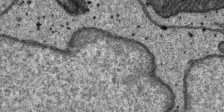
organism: Human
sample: Lung epithelial cells, uninfected (mock) control